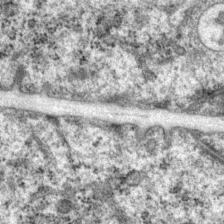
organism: P. pacificus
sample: Pharynx